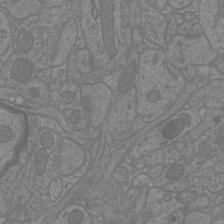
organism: Mouse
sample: Cortical neurons